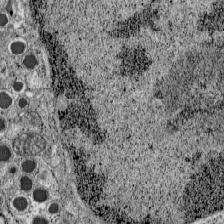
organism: C57BL Mouse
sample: Pancreatic islet